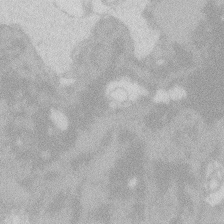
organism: Zebrafish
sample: Macrophage